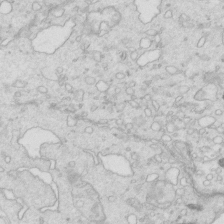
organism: Mouse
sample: Multiciliated cells